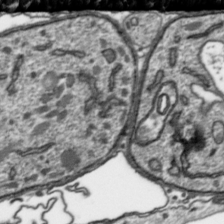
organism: Toxoplasma gondii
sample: Parasites in a vacuole inside a host cell